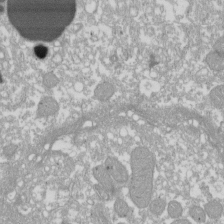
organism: Xenopus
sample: Cilia; centrioles in frog embryo cells